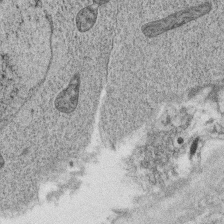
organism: C. elegans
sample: C. elegans oocyte; sperm cells